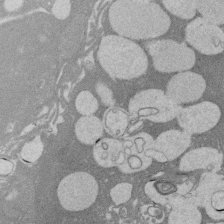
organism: Rat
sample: Salivary granule